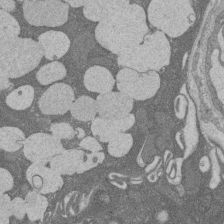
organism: Rat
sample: Salivary granule